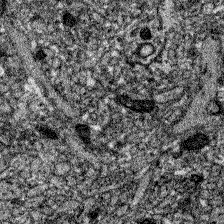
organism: Zebrafish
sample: Larval olfactory bulb